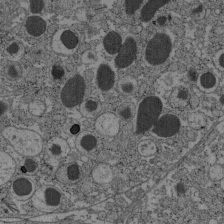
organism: C57BL Mouse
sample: Pancreatic islet